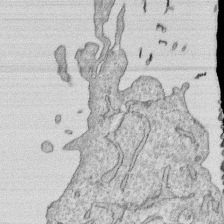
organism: Human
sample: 1205lu cells